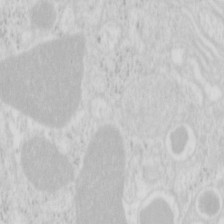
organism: Mouse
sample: Pancreas